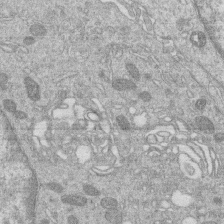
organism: Human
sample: Macrophage cells